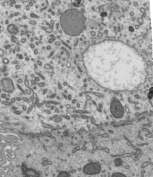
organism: Mouse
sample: Mouse epididymis efferent ductule cilia